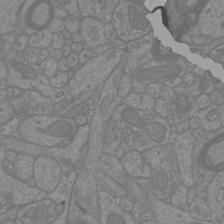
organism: Mouse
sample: Cortical neurons